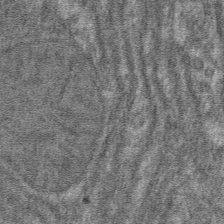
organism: Mouse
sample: Mouse hepatocytes